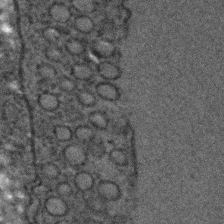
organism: C. elegans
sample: C. elegans embryo